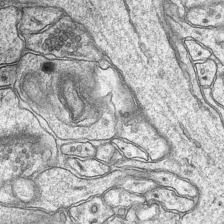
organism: Mouse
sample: CA1 Hippocampus